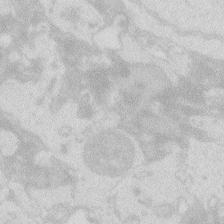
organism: Zebrafish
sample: Macrophage